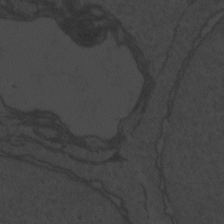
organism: Zebrafish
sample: Macrophage infected with Toxoplasma gondii